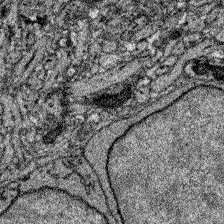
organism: Zebrafish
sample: Larval olfactory bulb